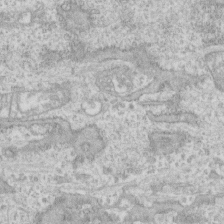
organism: Human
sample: CRL-1474